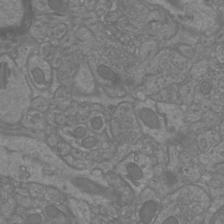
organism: Mouse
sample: Cortical neurons